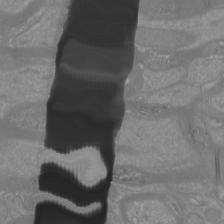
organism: Mouse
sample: Cortical neurons